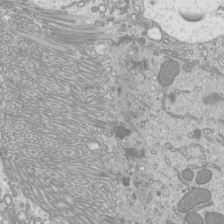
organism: Mouse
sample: Cilia; mouse epididymis